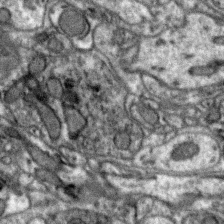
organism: Zebra finch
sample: Brain